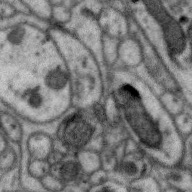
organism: Zebra finch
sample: Brain